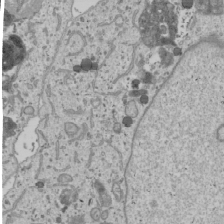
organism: Human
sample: Mitochondria in U2OS cells